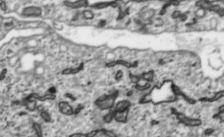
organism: Toxoplasma gondii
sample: Parasites in a vacuole inside a host cell